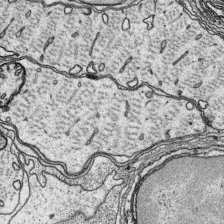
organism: Platynereis dumerilii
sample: Parapodia